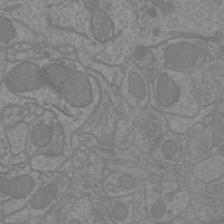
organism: Mouse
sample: Cortical neurons